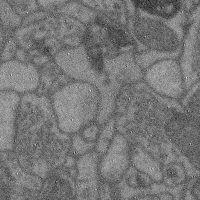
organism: Mouse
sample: Cerebral cortex